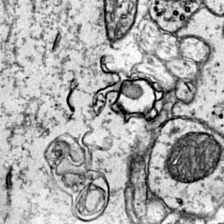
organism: Mouse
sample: Primary visual cortex